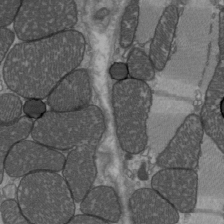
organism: C57BL Mouse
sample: Heart